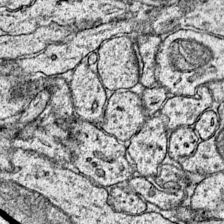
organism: Mouse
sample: Primary visual cortex